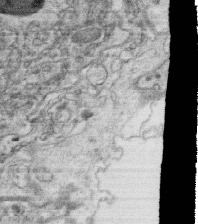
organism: C. elegans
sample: C. elegans oocyte; sperm cells